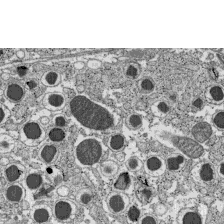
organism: C57BL Mouse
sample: Pancreatic islet